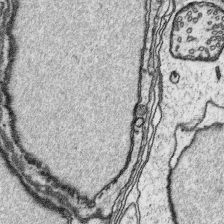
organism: Platynereis dumerilii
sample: Parapodia